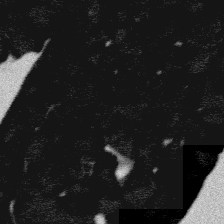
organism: Platynereis dumerilii